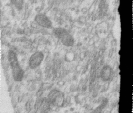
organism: Human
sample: Centriole in RPE cells